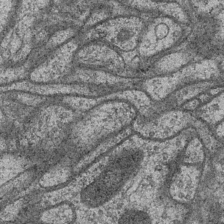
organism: Drosophila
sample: Optic medulla